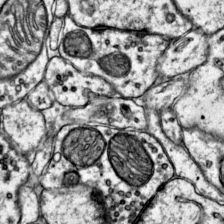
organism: Mouse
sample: Primary visual cortex